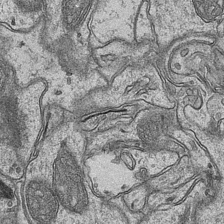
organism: Mouse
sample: CA1 Hippocampus